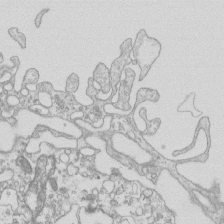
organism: Mouse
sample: Macrophages